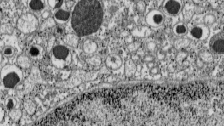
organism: C57BL Mouse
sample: Pancreatic islet